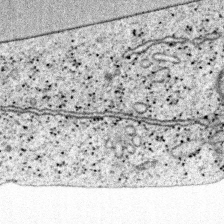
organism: Human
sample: HeLa cells